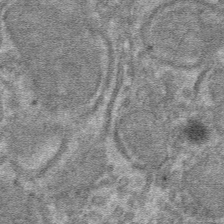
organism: Mouse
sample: Mouse hepatocytes